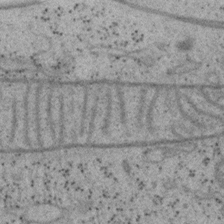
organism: Human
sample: HeLa cells